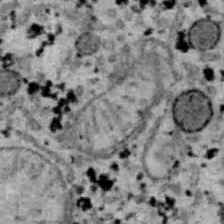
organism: Mouse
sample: Liver from an obese (ob/ob) mouse